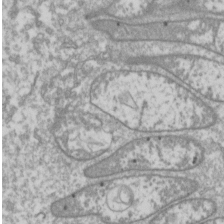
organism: Drosophila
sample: Cell division; meiosis; drosophila spermatocytes